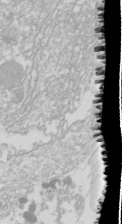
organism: Drosophila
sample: Cell division; meiosis; drosophila spermatocytes